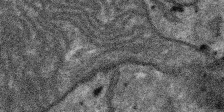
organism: Human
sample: Lung epithelial cells infected with SARS-CoV-2